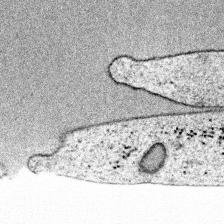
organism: Human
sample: HeLa cells